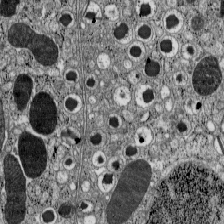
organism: C57BL Mouse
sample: Pancreatic islet